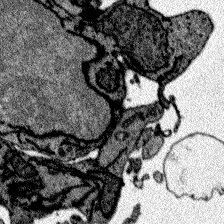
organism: Zebrafish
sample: Larval olfactory bulb